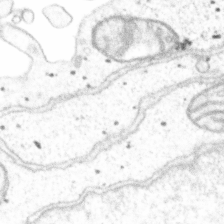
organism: Human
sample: HeLa cells